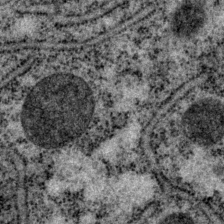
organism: P. pacificus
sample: Pharynx